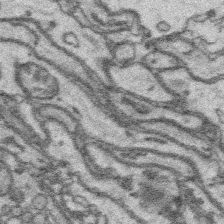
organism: Platynereis dumerilii